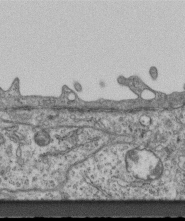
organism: Mouse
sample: Centriole in ependymal cells